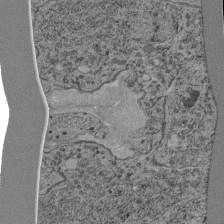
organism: C. elegans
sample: C. elegans pharynx